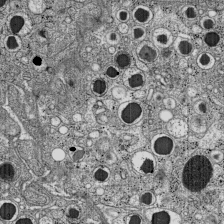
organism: C57BL Mouse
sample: Pancreatic islet